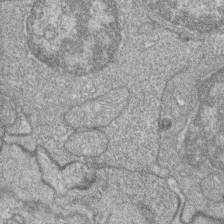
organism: Zebrafish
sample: Cilia; retinal pigment epithelium